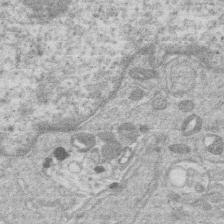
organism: Human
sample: Macrophage cells